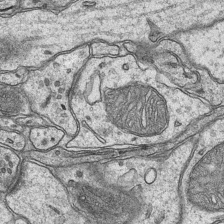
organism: Mouse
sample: CA1 Hippocampus